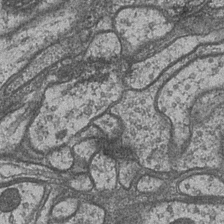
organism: Drosophila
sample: Optic medulla